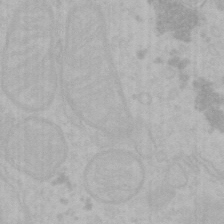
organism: Mouse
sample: Choroid plexus